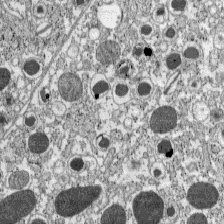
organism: C57BL Mouse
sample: Pancreatic islet